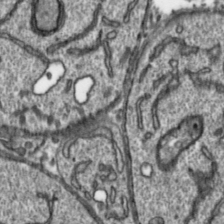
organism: Toxoplasma gondii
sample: Parasites in a vacuole inside a host cell